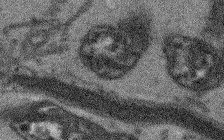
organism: Arabidopsis thaliana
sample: Root tip